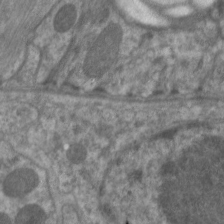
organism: C. elegans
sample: Pharynx